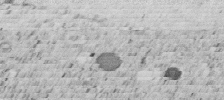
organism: C. elegans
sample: C. elegans embryo early stage